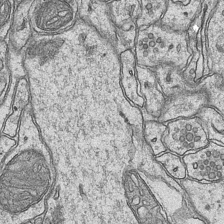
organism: Mouse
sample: CA1 Hippocampus